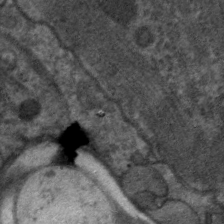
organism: C. elegans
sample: Pharynx